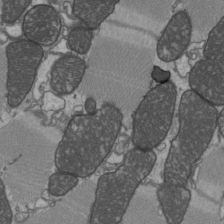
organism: C57BL Mouse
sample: Heart